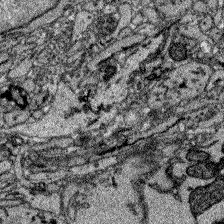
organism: Zebrafish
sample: Larval olfactory bulb